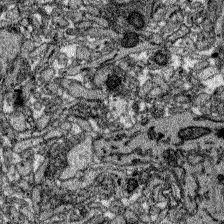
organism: Zebrafish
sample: Larval olfactory bulb